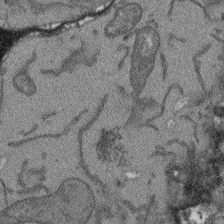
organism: Arabidopsis thaliana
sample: Root tip